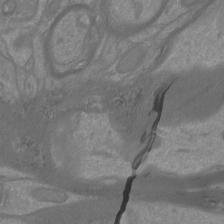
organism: Mouse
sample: Cortical neurons